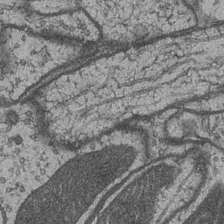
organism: Drosophila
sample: Optic medulla